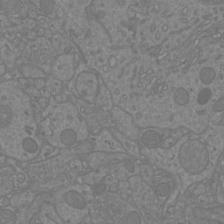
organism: Mouse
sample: Cortical neurons